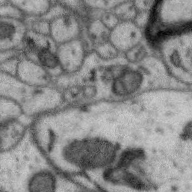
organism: Zebra finch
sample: Brain